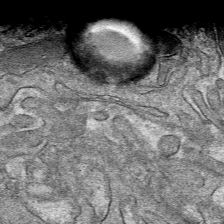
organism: Mouse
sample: Mouse hepatocytes